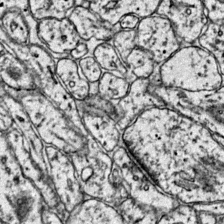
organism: Mouse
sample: Primary visual cortex